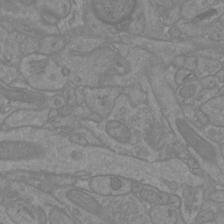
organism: Mouse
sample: Cortical neurons